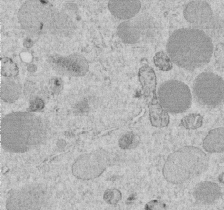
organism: C. elegans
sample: C. elegans embryo early stage